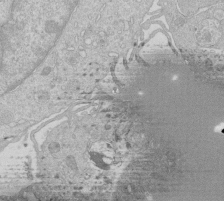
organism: Human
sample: Macrophage cells